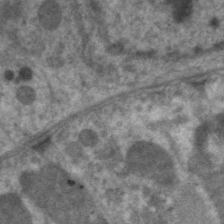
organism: C. elegans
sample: Pharynx